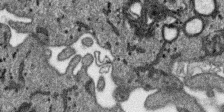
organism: Human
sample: Lung epithelial cells infected with SARS-CoV-2